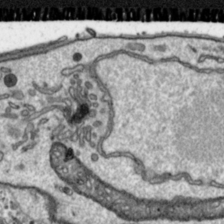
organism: Toxoplasma gondii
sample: Parasites in a vacuole inside a host cell